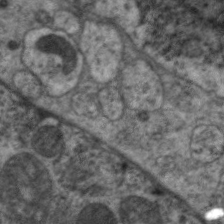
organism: C. elegans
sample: Pharynx